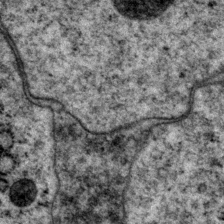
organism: P. pacificus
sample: Pharynx